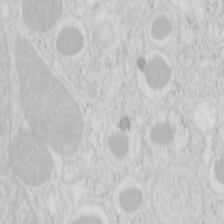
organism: Mouse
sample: Pancreas